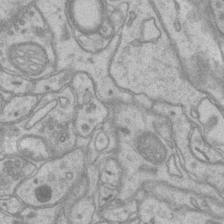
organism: Mouse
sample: CA1 Hippocampus